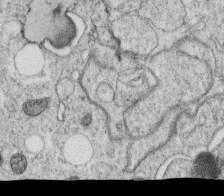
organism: C. elegans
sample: C. elegans oocyte; sperm cells